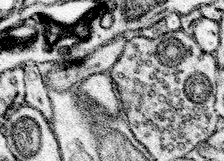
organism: Mouse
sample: Somatosensory cortex neuropil